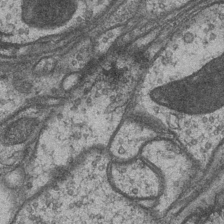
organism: Drosophila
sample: Optic medulla